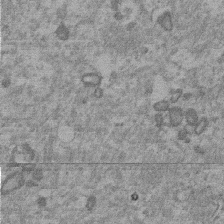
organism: Mouse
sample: Dividing mouse embryo 1 cell stage